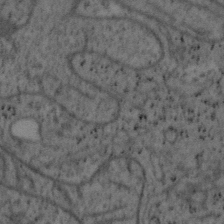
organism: Human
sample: HeLa cells